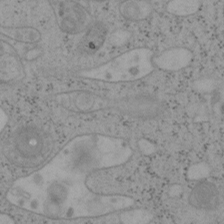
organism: Mouse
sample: OT-I killer T cells with ID8 ovarian cancer cells